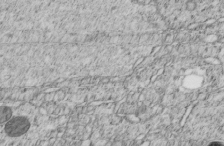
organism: C. elegans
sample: C. elegans embryo early stage